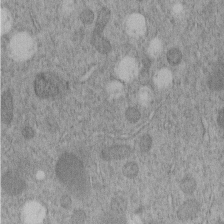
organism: C. elegans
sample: C. elegans embryo early stage